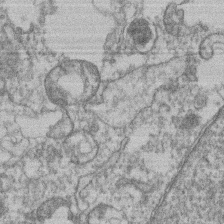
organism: Mouse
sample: T cell stromal cell synapse